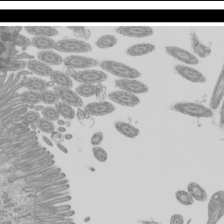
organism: Mouse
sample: Cilia; mouse epididymis